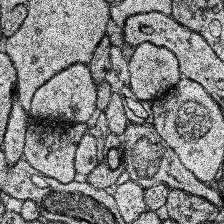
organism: Human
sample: Temporal Lobe